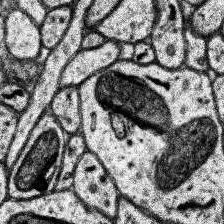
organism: Human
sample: Temporal Lobe